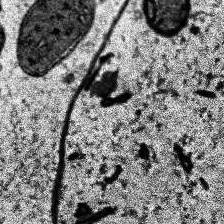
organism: Human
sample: Temporal Lobe